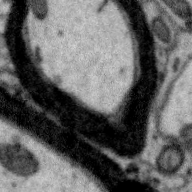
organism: Zebra finch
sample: Brain